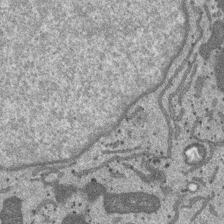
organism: Human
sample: Lung epithelial cells infected with SARS-CoV-2